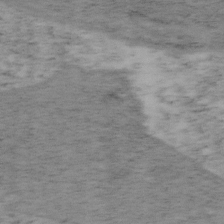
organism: Mouse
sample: OT-I killer T cells with ID8 ovarian cancer cells